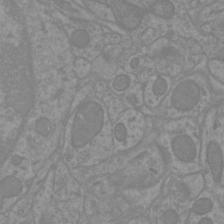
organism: Mouse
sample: Cortical neurons